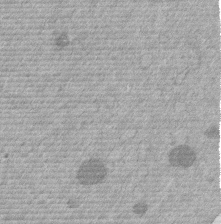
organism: Mouse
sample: Dividing mouse embryo 1 cell stage